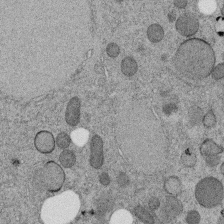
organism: C. elegans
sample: C. elegans embryo early stage